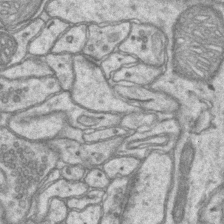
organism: Mouse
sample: CA1 Hippocampus